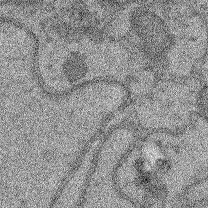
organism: Human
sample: HeLa cells